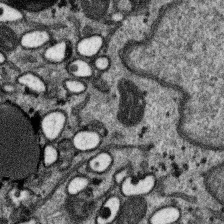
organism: Human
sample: Lung epithelial cells infected with SARS-CoV-2